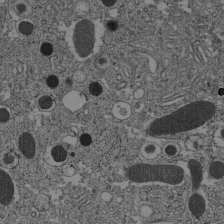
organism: C57BL Mouse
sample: Pancreatic islet